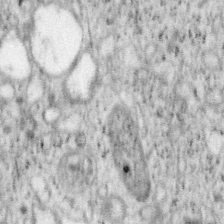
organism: Mouse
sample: OT-I killer T cells with ID8 ovarian cancer cells